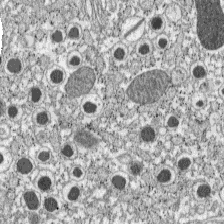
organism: C57BL Mouse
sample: Pancreatic islet